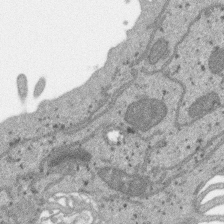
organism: Human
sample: Lung epithelial cells infected with SARS-CoV-2